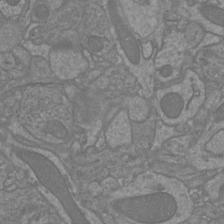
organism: Mouse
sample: Cortical neurons